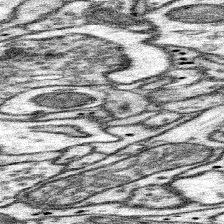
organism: Mouse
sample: Somatosensory cortex neuropil